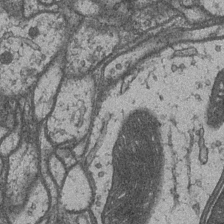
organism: Drosophila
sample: Optic medulla